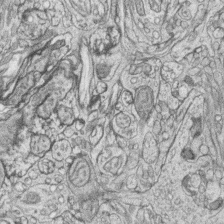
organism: Zebrafish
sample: synaptic ribbons in rod cells and cone cells